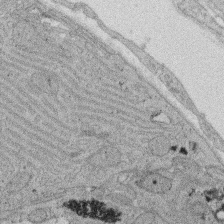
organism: Rat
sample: Salivary granule